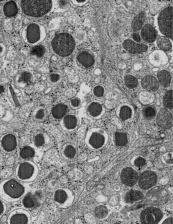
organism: C57BL Mouse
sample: Pancreatic islet